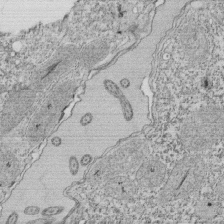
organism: Tetrahymena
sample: Cilia in tetrahymena